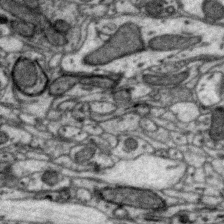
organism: Zebra finch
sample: Brain